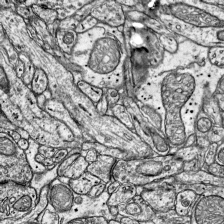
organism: Mouse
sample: Visual Cortex